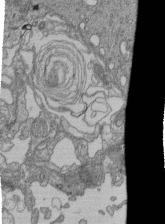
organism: Human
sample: Retinal organoid Rod and Cone cells